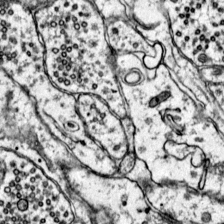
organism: Mouse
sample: Primary visual cortex